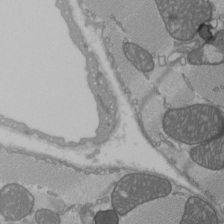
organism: C57BL Mouse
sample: Heart